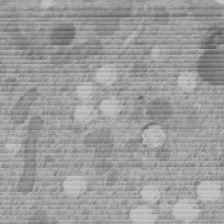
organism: C. elegans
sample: C. elegans embryo early stage